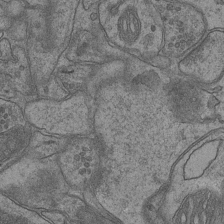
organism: Mouse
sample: CA1 Hippocampus